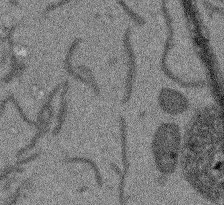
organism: Arabidopsis thaliana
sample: Root tip